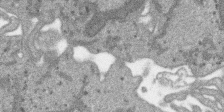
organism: Human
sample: Lung epithelial cells infected with SARS-CoV-2